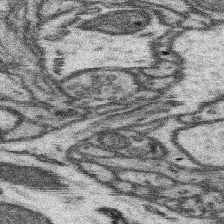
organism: Mouse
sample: Somatosensory cortex neuropil